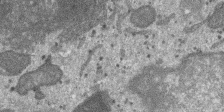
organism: Human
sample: Lung epithelial cells infected with SARS-CoV-2